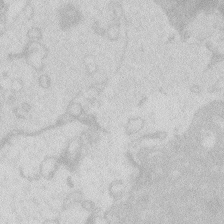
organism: Zebrafish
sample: Macrophage